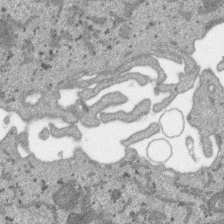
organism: Human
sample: Lung epithelial cells infected with SARS-CoV-2